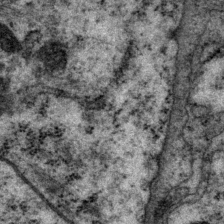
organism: P. pacificus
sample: Pharynx